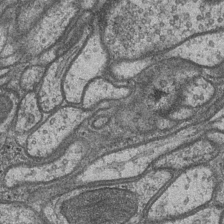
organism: Drosophila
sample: Optic medulla